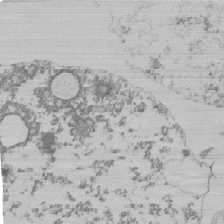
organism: Mouse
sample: Activated Pmel transgenic CD8+ T Cells